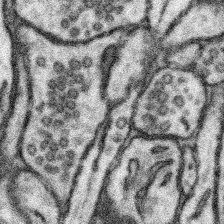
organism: Mouse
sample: Somatosensory cortex neuropil